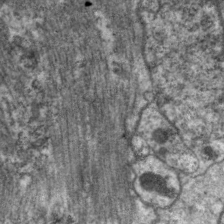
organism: C. elegans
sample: Pharynx